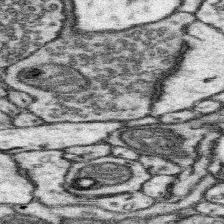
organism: Mouse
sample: Somatosensory cortex neuropil